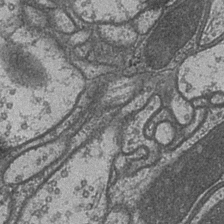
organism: Drosophila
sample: Optic medulla